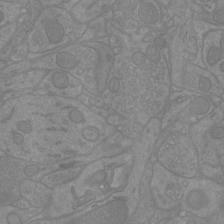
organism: Mouse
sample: Cortical neurons